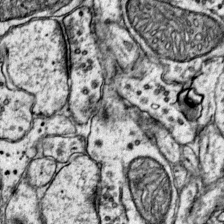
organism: Mouse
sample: Primary visual cortex